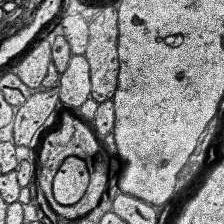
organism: Human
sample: Temporal Lobe